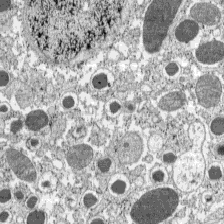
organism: C57BL Mouse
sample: Pancreatic islet